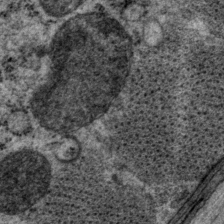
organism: P. pacificus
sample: Pharynx